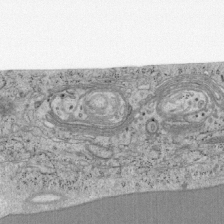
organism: Human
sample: HeLa cells